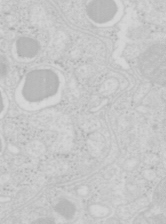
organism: Mouse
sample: Pancreas